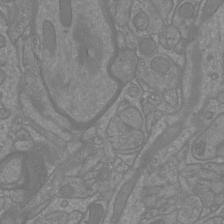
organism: Mouse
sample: Cortical neurons